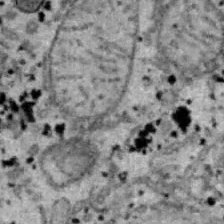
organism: Mouse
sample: Liver from an obese (ob/ob) mouse